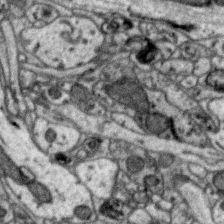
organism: Zebra finch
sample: Brain